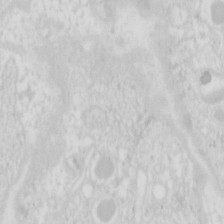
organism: Mouse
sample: Pancreas